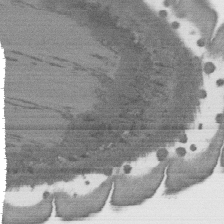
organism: C. elegans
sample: AFD neurons C. elegans